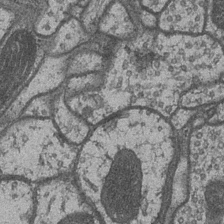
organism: Drosophila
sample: Optic medulla